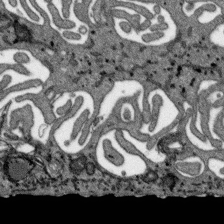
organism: Human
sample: Lung epithelial cells, uninfected (mock) control